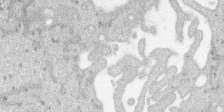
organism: Human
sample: Lung epithelial cells infected with SARS-CoV-2